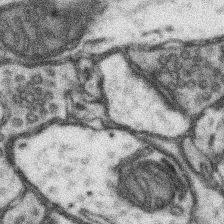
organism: Mouse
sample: Somatosensory cortex neuropil